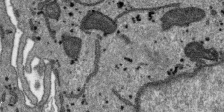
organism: Human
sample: Lung epithelial cells, uninfected (mock) control